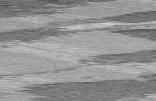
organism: C57BL Mouse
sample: Heart